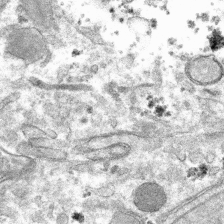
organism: Mouse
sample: Mouse hepatocytes